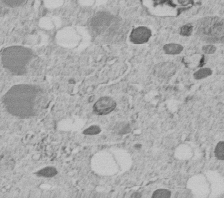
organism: C. elegans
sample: C. elegans embryo early stage